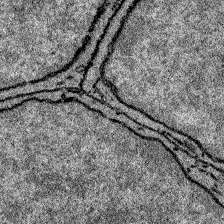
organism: Zebrafish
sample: Larval olfactory bulb